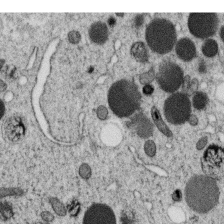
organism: C. elegans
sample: C. elegans oocyte; sperm cells